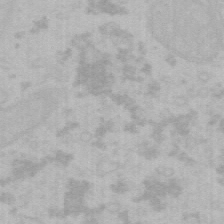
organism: Mouse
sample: Choroid plexus